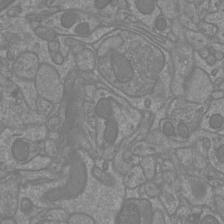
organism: Mouse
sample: Cortical neurons